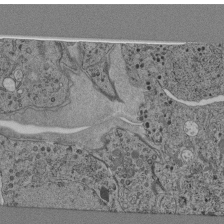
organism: C. elegans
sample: C. elegans pharynx